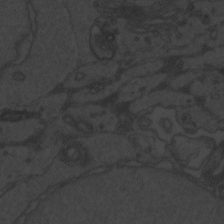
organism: Zebrafish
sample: Macrophage infected with Toxoplasma gondii